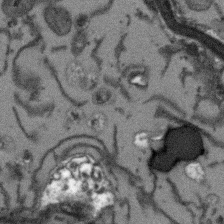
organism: Arabidopsis thaliana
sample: Root tip